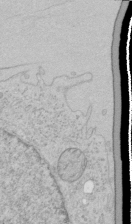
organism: Human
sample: Mitochondria in HCT116 cells